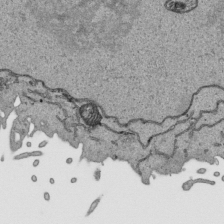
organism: Human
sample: Mitochondria in HCT116 cells